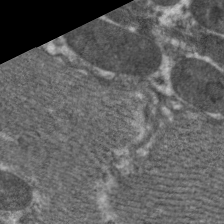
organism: C. elegans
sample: Pharynx